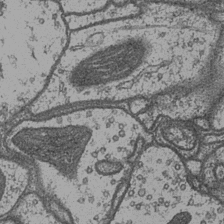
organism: Drosophila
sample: Optic medulla